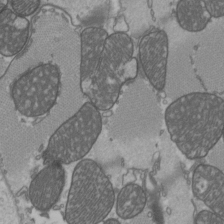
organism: C57BL Mouse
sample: Heart